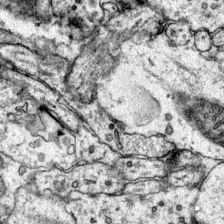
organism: Mouse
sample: Primary visual cortex